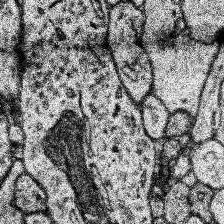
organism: Human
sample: Temporal Lobe